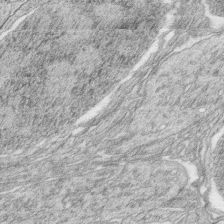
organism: Zebrafish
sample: synaptic ribbons in rod cells and cone cells